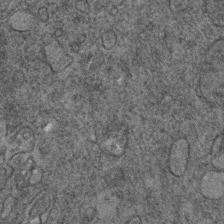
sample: Trachea